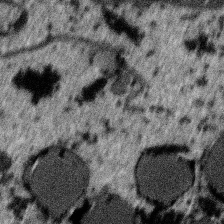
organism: Human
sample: Lung epithelial cells infected with SARS-CoV-2